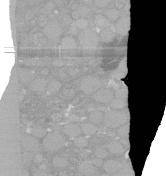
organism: C. elegans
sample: C. elegans oocyte; sperm cells